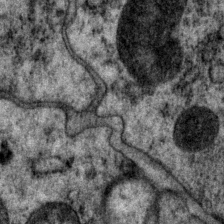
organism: P. pacificus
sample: Pharynx